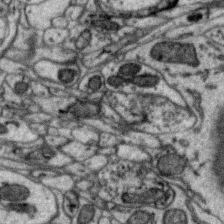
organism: Zebra finch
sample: Brain